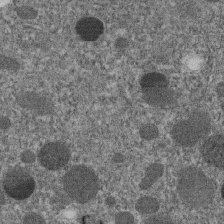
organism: C. elegans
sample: C. elegans embryo early stage